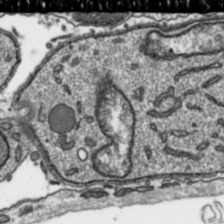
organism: Toxoplasma gondii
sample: Parasites in a vacuole inside a host cell